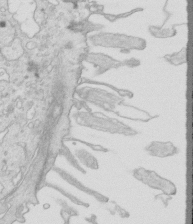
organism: Mouse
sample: Multiciliated cells